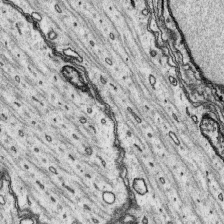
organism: Platynereis dumerilii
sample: Parapodia